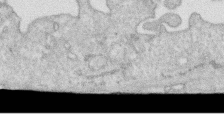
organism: Human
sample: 1205lu cells